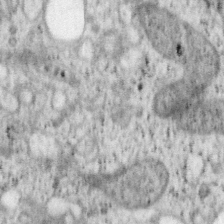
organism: Mouse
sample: OT-I killer T cells with ID8 ovarian cancer cells